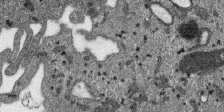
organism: Human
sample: Lung epithelial cells infected with SARS-CoV-2